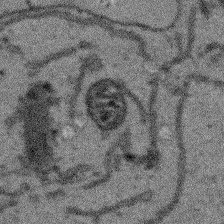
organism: Arabidopsis thaliana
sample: Root tip